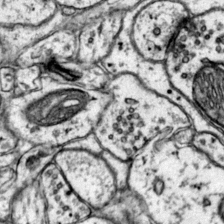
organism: Mouse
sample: Primary visual cortex